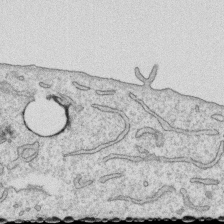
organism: Human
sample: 1205lu cells